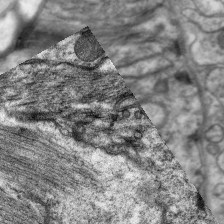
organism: C. elegans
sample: Pharynx